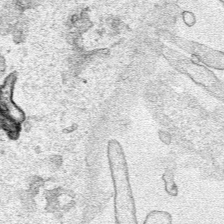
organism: Human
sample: Mitochondria in HCT116 cells